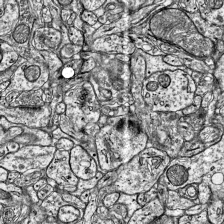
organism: Mouse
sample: Visual Cortex